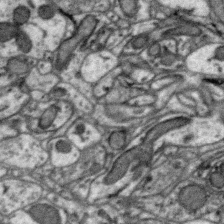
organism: Zebra finch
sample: Brain